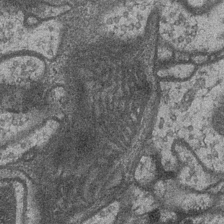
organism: Drosophila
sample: Optic medulla